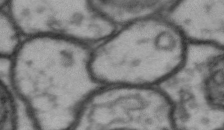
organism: Drosophila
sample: Brain